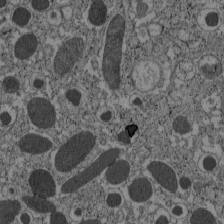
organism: C57BL Mouse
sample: Pancreatic islet